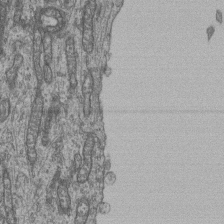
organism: Human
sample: Retinal organoid Rod and Cone cells